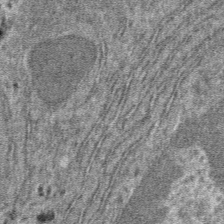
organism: Mouse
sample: Mouse hepatocytes